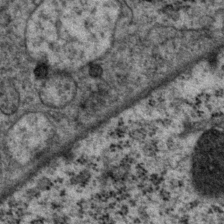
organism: P. pacificus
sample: Pharynx